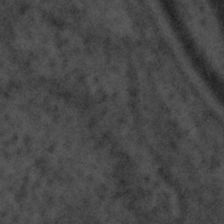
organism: Tuwongella immobilis